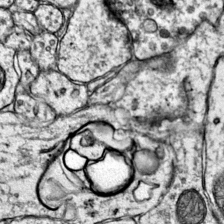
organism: Mouse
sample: Primary visual cortex